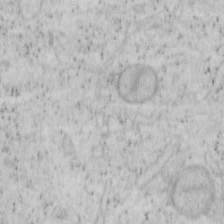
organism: Human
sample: HeLa cells